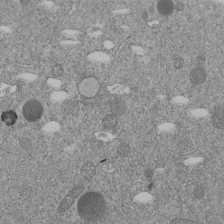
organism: C. elegans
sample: C. elegans embryo early stage